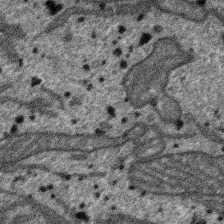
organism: Human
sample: Lung epithelial cells infected with SARS-CoV-2